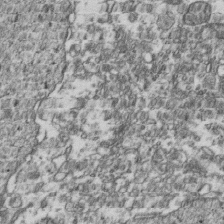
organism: Human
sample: Activated Jurkat CD4+ T cells